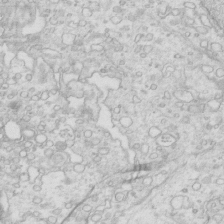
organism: Mouse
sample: Multiciliated cells